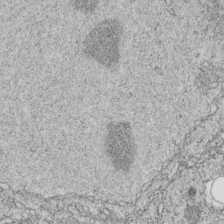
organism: C. elegans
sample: C. elegans embryo early stage